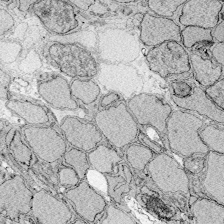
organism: Zebrafish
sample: Whole-Brain